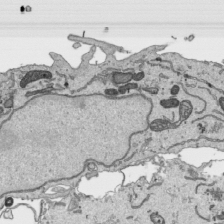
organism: Human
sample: Mitochondria in HCT116 cells